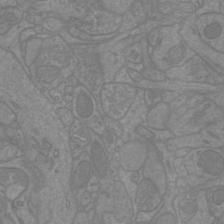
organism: Mouse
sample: Cortical neurons